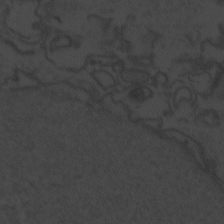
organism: Zebrafish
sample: Macrophage infected with Toxoplasma gondii